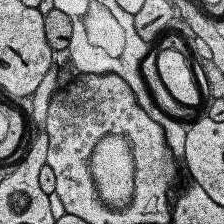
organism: Human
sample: Temporal Lobe